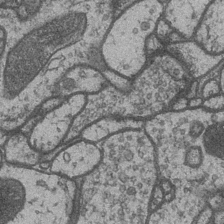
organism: Drosophila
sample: Optic medulla